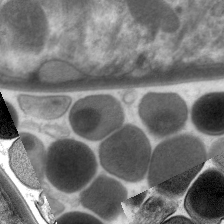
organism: C. elegans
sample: Pharynx